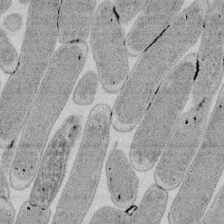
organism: E. coli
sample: Bacterial nucleoid